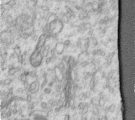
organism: Human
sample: Centriole in RPE cells